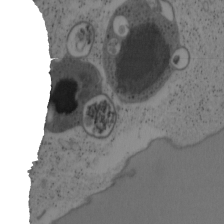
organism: Mouse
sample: OT-I killer T cells with ID8 ovarian cancer cells